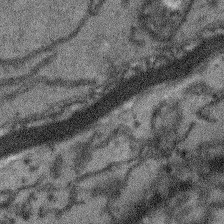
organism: Arabidopsis thaliana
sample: Root tip